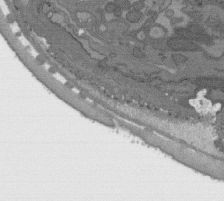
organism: C. elegans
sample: AFD neurons C. elegans